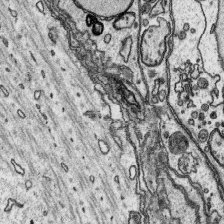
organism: Platynereis dumerilii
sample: Parapodia